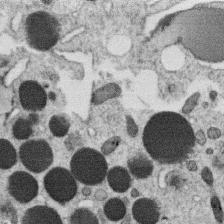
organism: C. elegans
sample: C. elegans oocyte; sperm cells